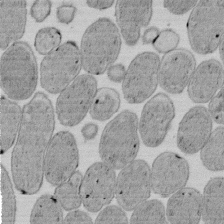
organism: E. coli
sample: Bacterial nucleoid